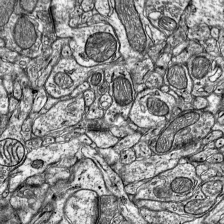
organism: Mouse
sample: Visual Cortex